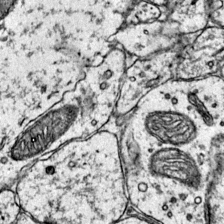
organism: Mouse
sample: Primary visual cortex